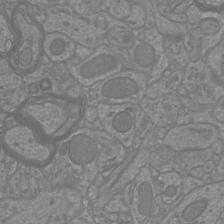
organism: Mouse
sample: Cortical neurons